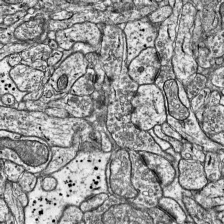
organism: Mouse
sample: Visual Cortex